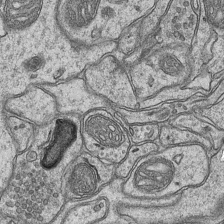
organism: Mouse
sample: CA1 Hippocampus